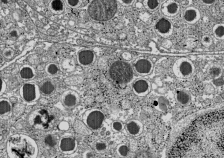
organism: C57BL Mouse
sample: Pancreatic islet